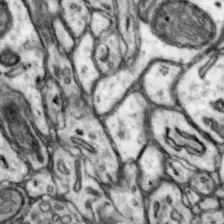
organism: Mouse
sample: Nucleus accumbens